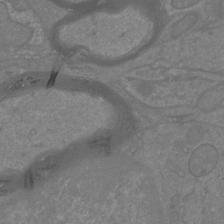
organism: Mouse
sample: Cortical neurons